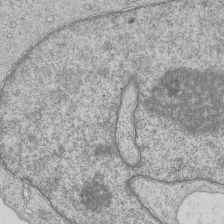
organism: Human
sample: MDA-MB-231 cells